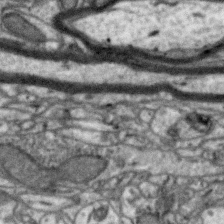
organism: Zebra finch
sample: Brain